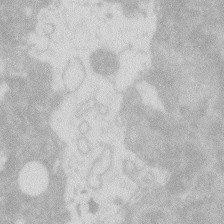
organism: Zebrafish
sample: Macrophage